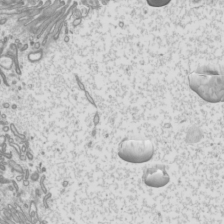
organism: Mouse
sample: Cilia; mouse epididymis